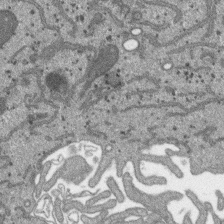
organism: Human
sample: Lung epithelial cells infected with SARS-CoV-2